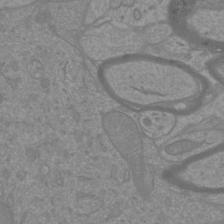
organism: Mouse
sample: Cortical neurons